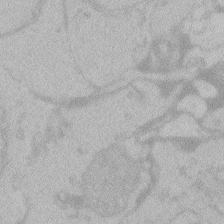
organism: Zebrafish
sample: Macrophage infected with Toxoplasma gondii